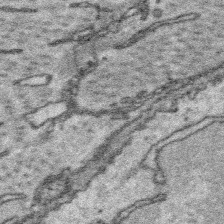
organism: Platynereis dumerilii